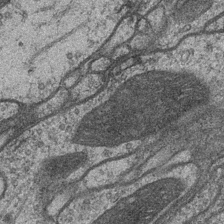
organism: Drosophila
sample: Optic medulla